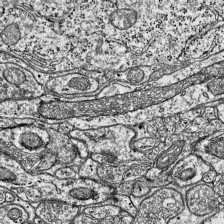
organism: Mouse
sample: Visual Cortex